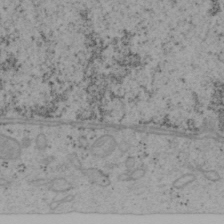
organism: Human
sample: HeLa cells